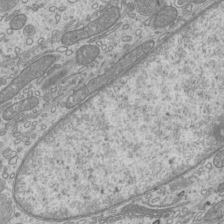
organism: Mouse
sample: Cilia; mouse epididymis